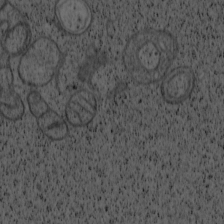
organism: African green monkey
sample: COS-7 cells